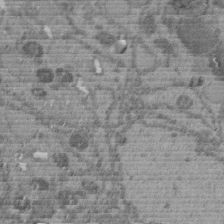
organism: C. elegans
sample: C. elegans embryo early stage